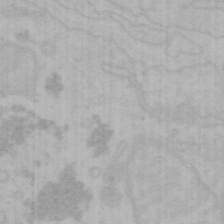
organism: Mouse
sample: Choroid plexus